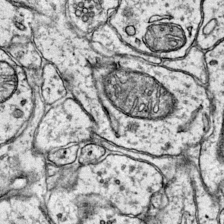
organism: Mouse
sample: Primary visual cortex